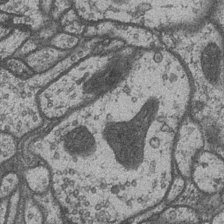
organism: Drosophila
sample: Optic medulla